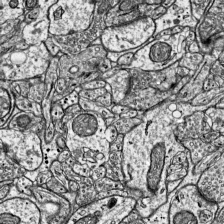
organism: Mouse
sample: Visual Cortex